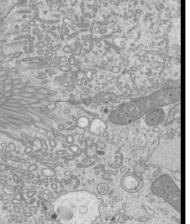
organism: Mouse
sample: Cilia; mouse epididymis